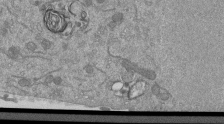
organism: Mouse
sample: ED-1 cell nuclei; centrioles